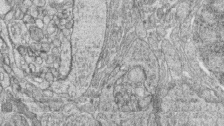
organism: Zebrafish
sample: synaptic ribbons in rod cells and cone cells